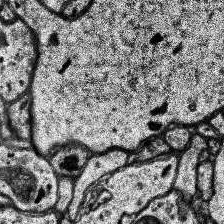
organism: Human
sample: Temporal Lobe